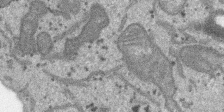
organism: Human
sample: Lung epithelial cells infected with SARS-CoV-2